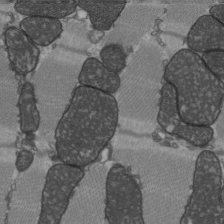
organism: C57BL Mouse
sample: Heart